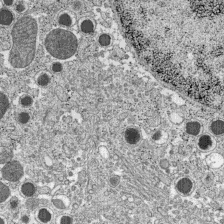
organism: C57BL Mouse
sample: Pancreatic islet